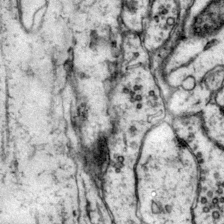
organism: Mouse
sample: Primary visual cortex